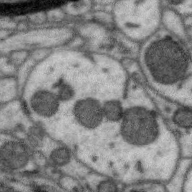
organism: Zebra finch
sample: Brain